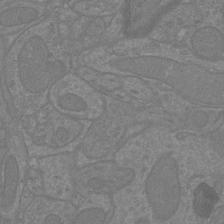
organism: Mouse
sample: Cortical neurons